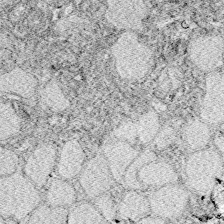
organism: Zebrafish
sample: Whole-Brain